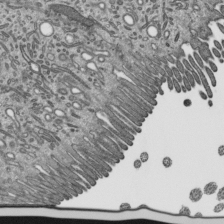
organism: Mouse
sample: Mouse epididymis efferent ductule cilia